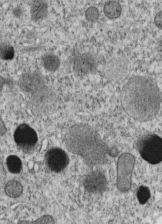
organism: C. elegans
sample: C. elegans embryo early stage